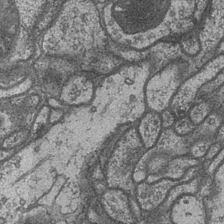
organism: Drosophila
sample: Optic medulla